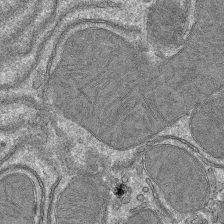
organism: Mouse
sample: Mouse hepatocytes